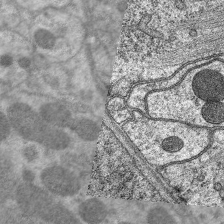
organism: C. elegans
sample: Pharynx